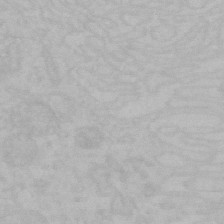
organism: Mouse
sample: Choroid plexus